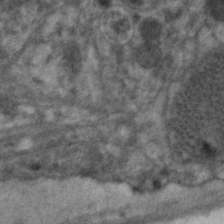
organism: C. elegans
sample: Pharynx